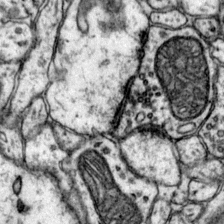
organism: Mouse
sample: Primary visual cortex